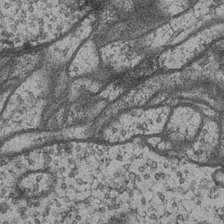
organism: Drosophila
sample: Optic medulla